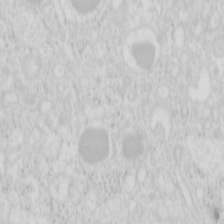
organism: Mouse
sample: Pancreas